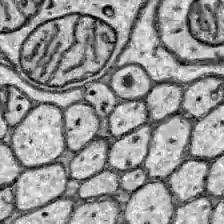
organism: Zebrafish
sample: Brain